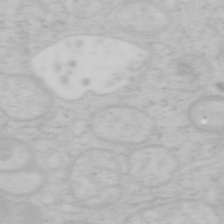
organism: Mouse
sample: OT-I killer T cells with ID8 ovarian cancer cells